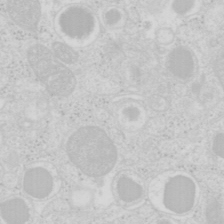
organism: Mouse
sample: Pancreas